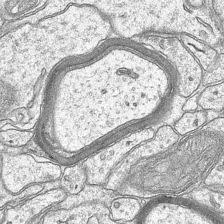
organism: Mouse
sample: CA1 Hippocampus